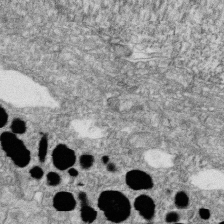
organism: Zebrafish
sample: Cilia; retinal pigment epithelium